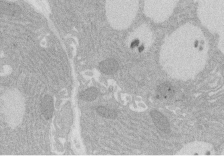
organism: Rat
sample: Salivary granule